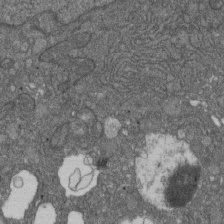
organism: Drosophila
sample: Nephrocyte